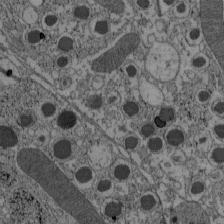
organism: C57BL Mouse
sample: Pancreatic islet